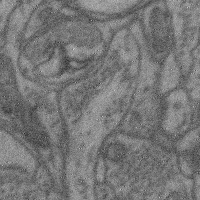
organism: Mouse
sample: Cerebral cortex